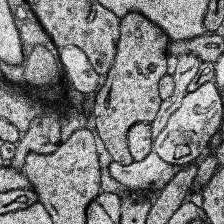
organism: Human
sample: Temporal Lobe